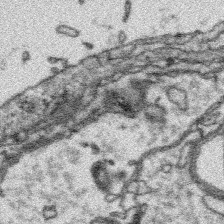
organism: Platynereis dumerilii